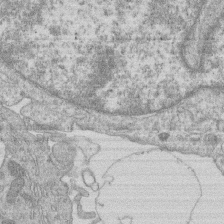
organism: Human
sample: Macrophage cells